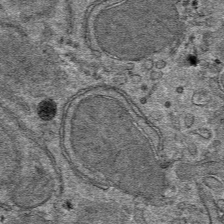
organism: Mouse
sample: Mouse hepatocytes